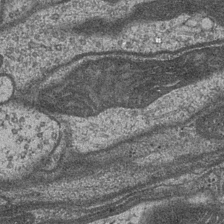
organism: Drosophila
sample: Optic medulla